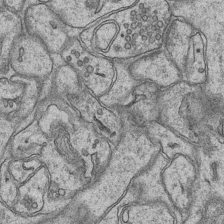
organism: Mouse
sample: CA1 Hippocampus